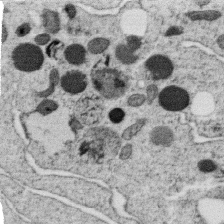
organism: C. elegans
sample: C. elegans oocyte; sperm cells